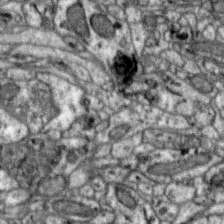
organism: Zebra finch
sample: Brain